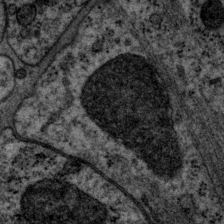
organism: P. pacificus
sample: Pharynx